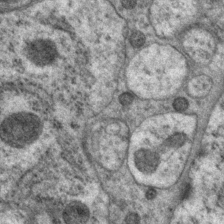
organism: P. pacificus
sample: Pharynx